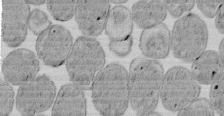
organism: E. coli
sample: Bacterial nucleoid